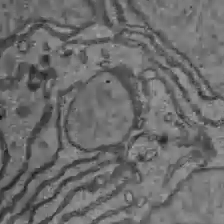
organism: C57BL Mouse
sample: Liver